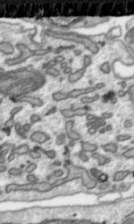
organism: Toxoplasma gondii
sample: Parasites in a vacuole inside a host cell